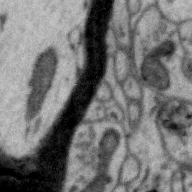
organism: Zebra finch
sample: Brain